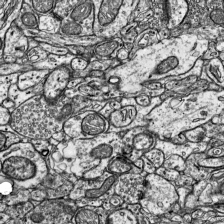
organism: Mouse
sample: Visual Cortex